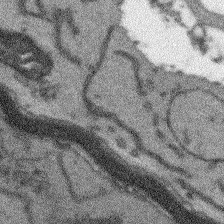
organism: Arabidopsis thaliana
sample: Root tip